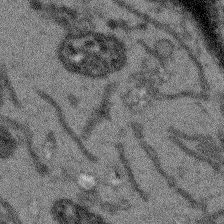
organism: Arabidopsis thaliana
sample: Root tip